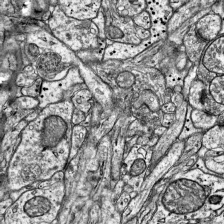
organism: Mouse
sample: Visual Cortex